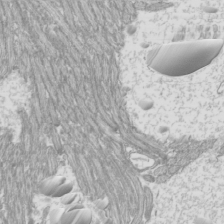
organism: Mouse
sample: Cilia; mouse epididymis